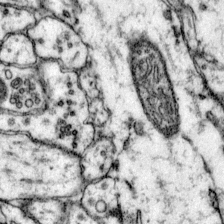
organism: Mouse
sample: Primary visual cortex